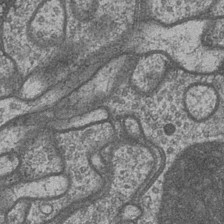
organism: Drosophila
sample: Optic medulla